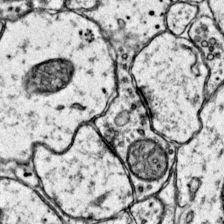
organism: Mouse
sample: Primary visual cortex